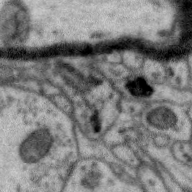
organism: Zebra finch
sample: Brain